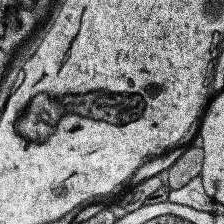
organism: Human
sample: Temporal Lobe